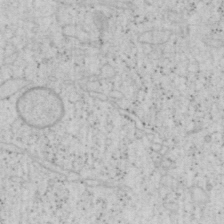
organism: Human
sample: HeLa cells